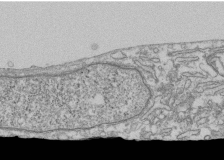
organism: Human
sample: Fibroblast cells